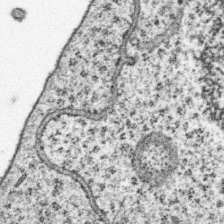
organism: Human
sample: HeLa cells